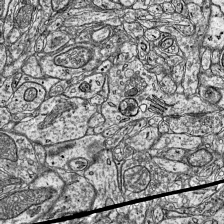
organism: Mouse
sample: Visual Cortex